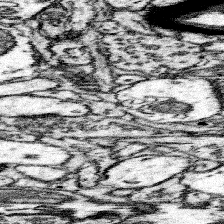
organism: Mouse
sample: Somatosensory cortex neuropil